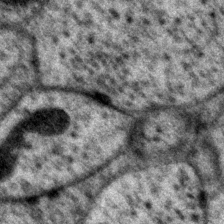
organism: P. pacificus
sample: Pharynx